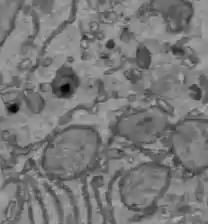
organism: C57BL Mouse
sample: Liver